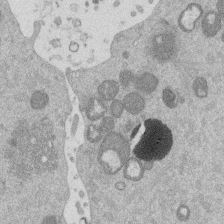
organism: Mouse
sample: Dividing mouse embryo 1 cell stage